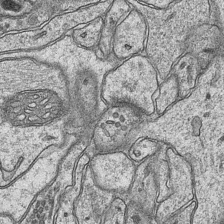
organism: Mouse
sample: CA1 Hippocampus